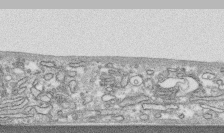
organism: Human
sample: CRL-1474